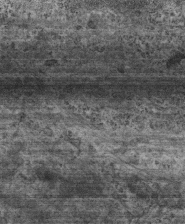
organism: Mouse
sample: Centriole in ependymal cells